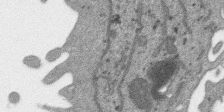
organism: Human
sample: Lung epithelial cells infected with SARS-CoV-2